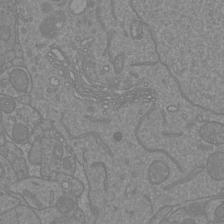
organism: Mouse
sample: Cortical neurons